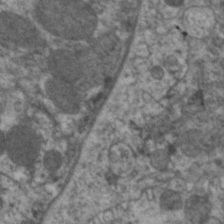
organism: C. elegans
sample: Pharynx